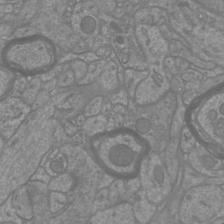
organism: Mouse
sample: Cortical neurons